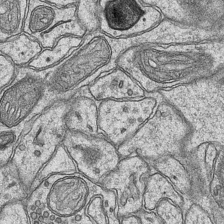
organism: Mouse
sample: CA1 Hippocampus